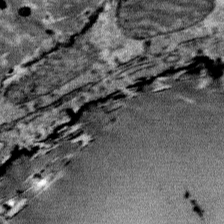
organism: Mouse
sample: Mouse Salivary gland